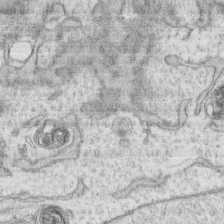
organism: Human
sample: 1205lu cells